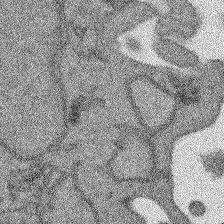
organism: Human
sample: HeLa cells